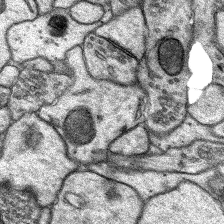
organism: Rat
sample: Hippocampus